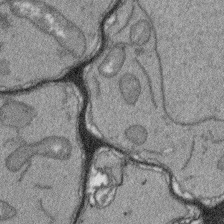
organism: Arabidopsis thaliana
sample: Root tip